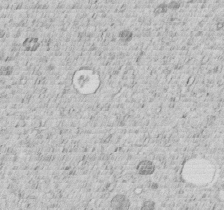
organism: C. elegans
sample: C. elegans embryo early stage